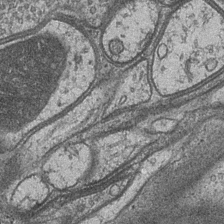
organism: Drosophila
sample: Optic medulla